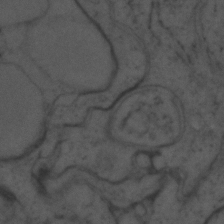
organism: Zebrafish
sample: Zebrafish embryo